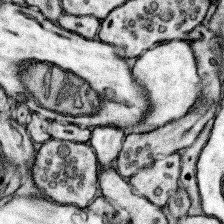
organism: Mouse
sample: Somatosensory cortex neuropil